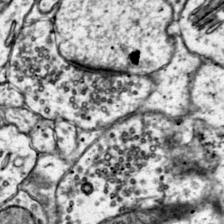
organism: Mouse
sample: Primary visual cortex